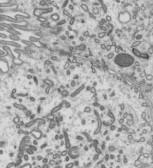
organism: Mouse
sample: Mouse epididymis efferent ductule cilia